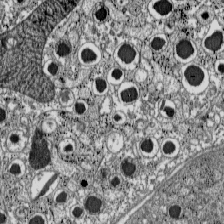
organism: C57BL Mouse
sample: Pancreatic islet